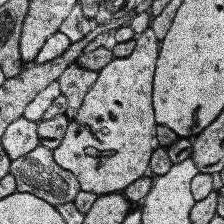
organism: Human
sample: Temporal Lobe